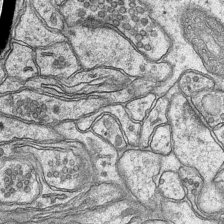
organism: Mouse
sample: CA1 Hippocampus